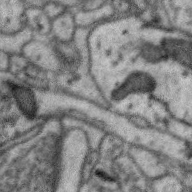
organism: Zebra finch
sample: Brain